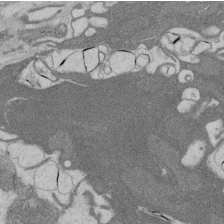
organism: Rat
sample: Salivary granule